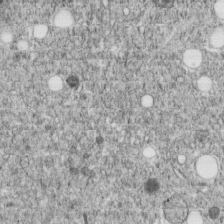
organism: C. elegans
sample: C. elegans embryo early stage